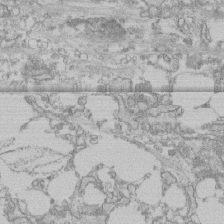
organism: Human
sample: CRL-1474